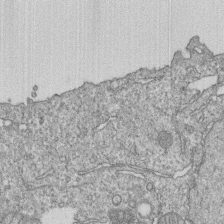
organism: Human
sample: HeLa cell HIV synapse